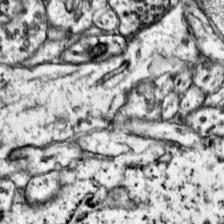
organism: Mouse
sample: Primary visual cortex